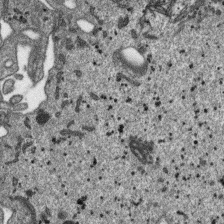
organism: Human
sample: Lung epithelial cells infected with SARS-CoV-2